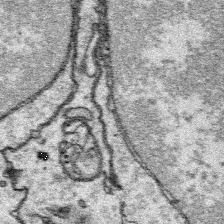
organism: Platynereis dumerilii